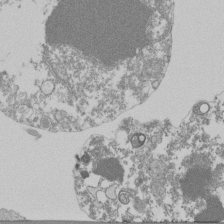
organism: Mouse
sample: Activated Pmel transgenic CD8+ T Cells